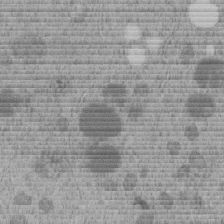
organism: C. elegans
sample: C. elegans embryo early stage